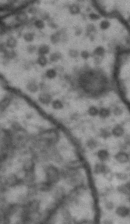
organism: Drosophila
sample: Brain